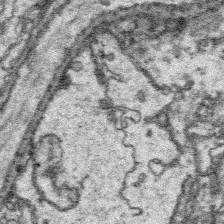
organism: Platynereis dumerilii